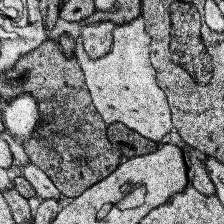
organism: Human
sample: Temporal Lobe